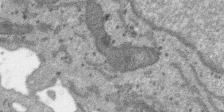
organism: Human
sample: Lung epithelial cells infected with SARS-CoV-2